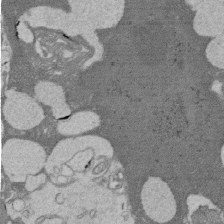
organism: Rat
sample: Salivary granule